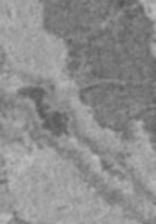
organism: C57BL Mouse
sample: Heart